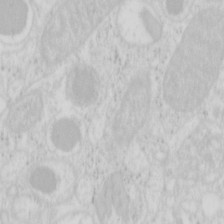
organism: Mouse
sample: Pancreas